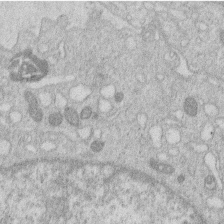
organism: Human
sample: Macrophage cells